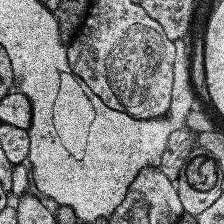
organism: Human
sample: Temporal Lobe